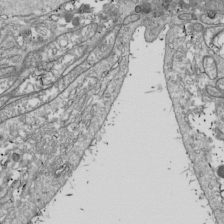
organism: Drosophila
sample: Cell division; meiosis; drosophila spermatocytes